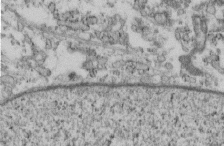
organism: Mouse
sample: Cilia; retinal pigment epithelium